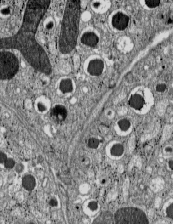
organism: C57BL Mouse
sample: Pancreatic islet